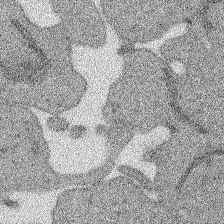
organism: Human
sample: HeLa cells